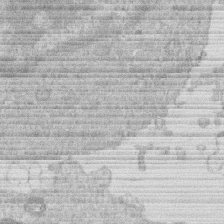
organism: Human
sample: Macrophage cells